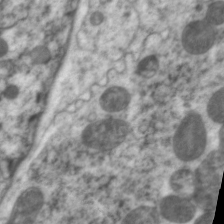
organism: C. elegans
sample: Pharynx